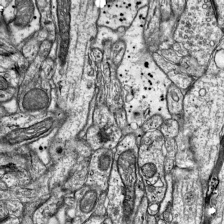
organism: Mouse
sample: Visual Cortex